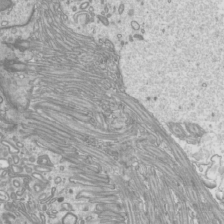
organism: Mouse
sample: Cilia; mouse epididymis